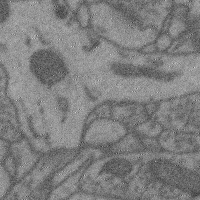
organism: Mouse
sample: Cerebral cortex